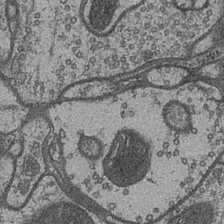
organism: Drosophila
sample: Optic medulla